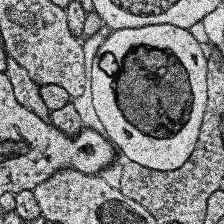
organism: Human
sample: Temporal Lobe